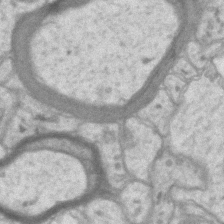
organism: Mouse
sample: CA1 Hippocampus